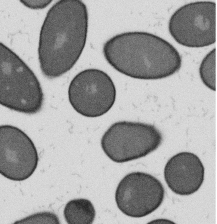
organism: B. subtilis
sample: Bacterial spore